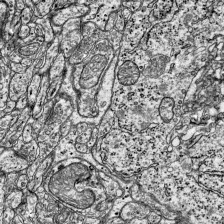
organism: Mouse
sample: Visual Cortex